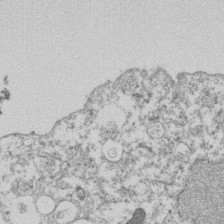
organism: Dictyostelium discoideum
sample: Dictyostelium multivesicular bodies